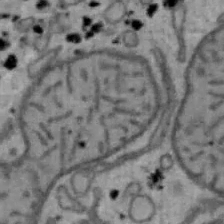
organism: Mouse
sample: Liver